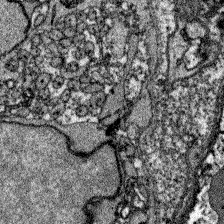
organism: Zebrafish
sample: Larval olfactory bulb